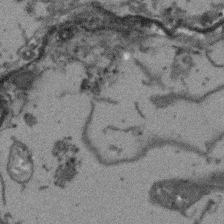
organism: Arabidopsis thaliana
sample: Root tip